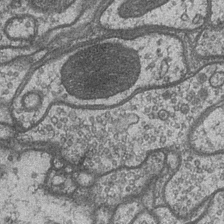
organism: Drosophila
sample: Optic medulla